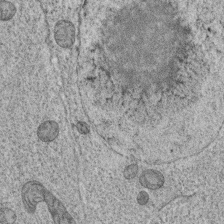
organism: C. elegans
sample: C. elegans oocyte; sperm cells